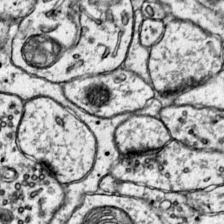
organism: Mouse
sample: Primary visual cortex